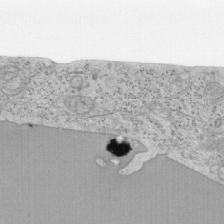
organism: Human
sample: HeLa cells